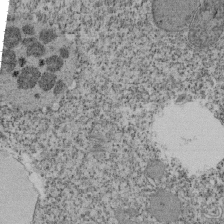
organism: Tetrahymena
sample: Cilia in tetrahymena